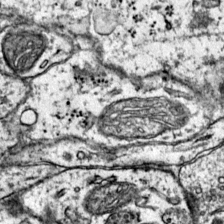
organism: Mouse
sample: Primary visual cortex